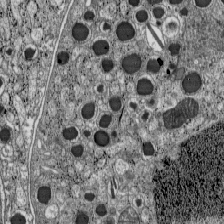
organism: C57BL Mouse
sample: Pancreatic islet